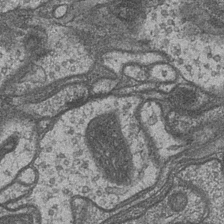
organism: Drosophila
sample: Optic medulla